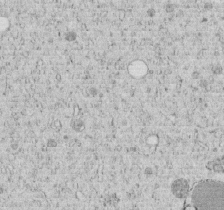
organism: C. elegans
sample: C. elegans embryo early stage